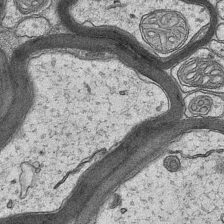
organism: Mouse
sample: CA1 Hippocampus